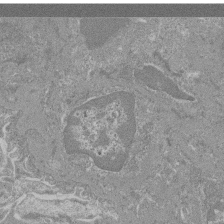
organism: Mouse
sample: Glomerulus